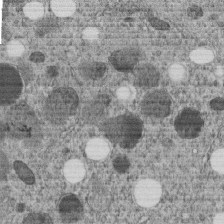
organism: C. elegans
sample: C. elegans embryo early stage